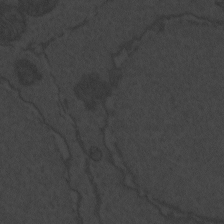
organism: Zebrafish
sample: Macrophage infected with Toxoplasma gondii